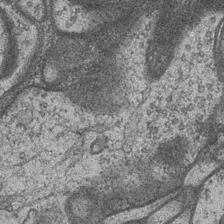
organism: Drosophila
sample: Optic medulla